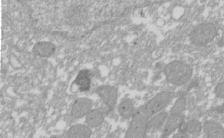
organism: Xenopus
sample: Cilia; centrioles in frog embryo cells